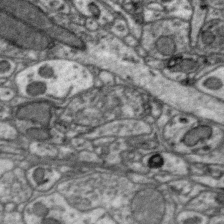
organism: Zebra finch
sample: Brain